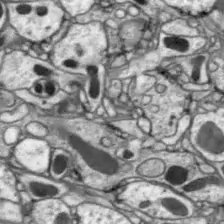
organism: Drosophila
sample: Optic lobe